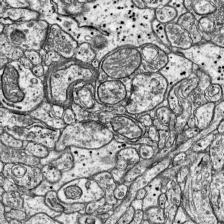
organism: Mouse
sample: Visual Cortex